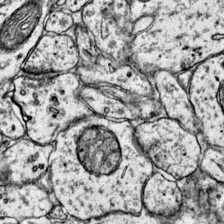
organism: Mouse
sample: Primary visual cortex